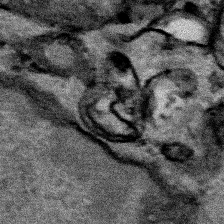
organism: Human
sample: Mitochondria in HCT116 cells